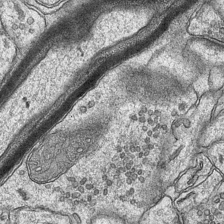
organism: Mouse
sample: CA1 Hippocampus